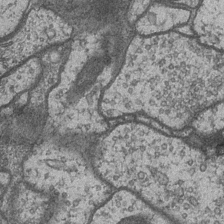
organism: Drosophila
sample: Optic medulla